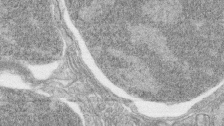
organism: Zebrafish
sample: synaptic ribbons in rod cells and cone cells